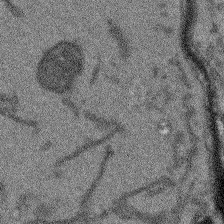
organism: Arabidopsis thaliana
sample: Root tip